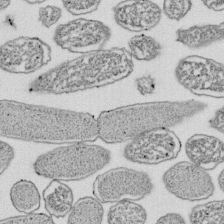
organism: E. coli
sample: Bacterial nucleoid